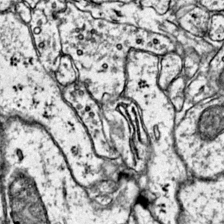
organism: Mouse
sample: Primary visual cortex